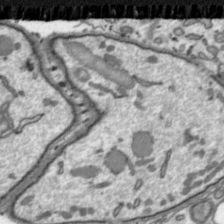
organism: Toxoplasma gondii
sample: Parasites in a vacuole inside a host cell